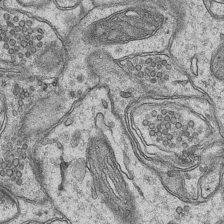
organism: Mouse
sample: CA1 Hippocampus